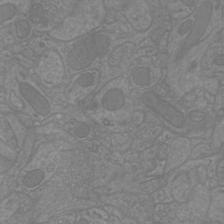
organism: Mouse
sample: Cortical neurons